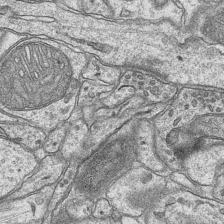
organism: Mouse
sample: CA1 Hippocampus